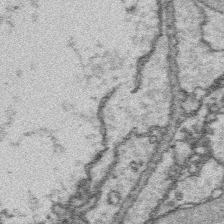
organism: Platynereis dumerilii